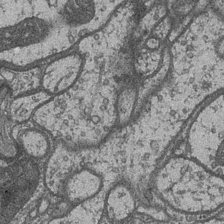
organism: Drosophila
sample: Optic medulla